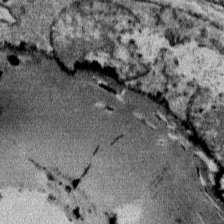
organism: Mouse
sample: Mouse Salivary gland